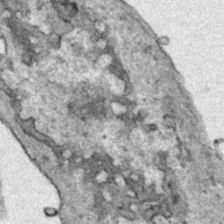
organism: Human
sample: Mitochondria in HCT116 cells